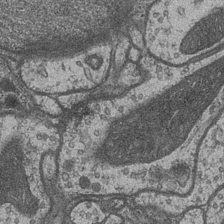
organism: Drosophila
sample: Optic medulla